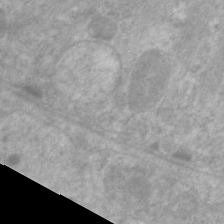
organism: C. elegans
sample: Pharynx